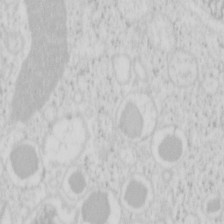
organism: Mouse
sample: Pancreas